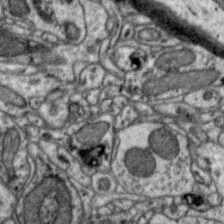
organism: Zebra finch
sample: Brain